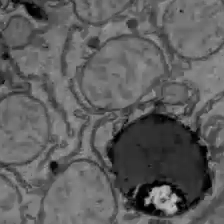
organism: C57BL Mouse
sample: Liver